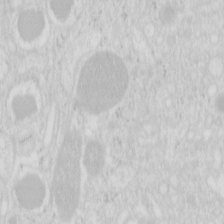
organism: Mouse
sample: Pancreas